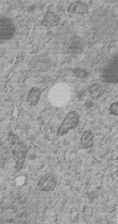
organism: C. elegans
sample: C. elegans embryo early stage